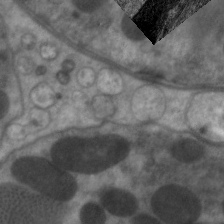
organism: C. elegans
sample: Pharynx